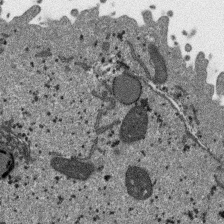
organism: Human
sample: Lung epithelial cells infected with SARS-CoV-2